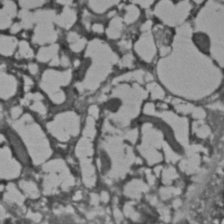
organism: C. elegans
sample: C. elegans embryo